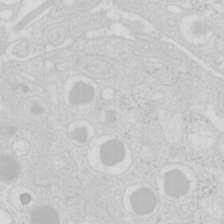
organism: Mouse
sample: Pancreas